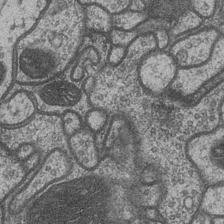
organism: Drosophila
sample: Optic medulla